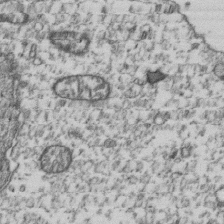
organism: Human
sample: Activated Jurkat CD4+ T cells